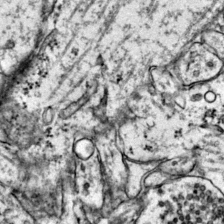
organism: Mouse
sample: Primary visual cortex